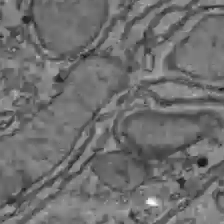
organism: C57BL Mouse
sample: Liver